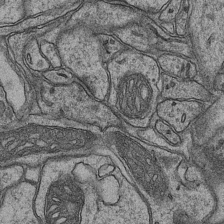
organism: Mouse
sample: CA1 Hippocampus